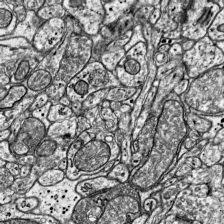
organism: Mouse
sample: Visual Cortex